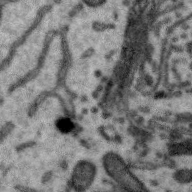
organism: Zebra finch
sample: Brain